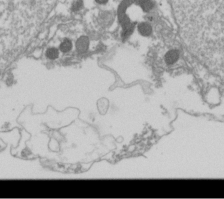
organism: Drosophila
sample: Cell division; meiosis; drosophila spermatocytes